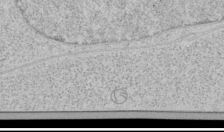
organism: Human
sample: Mitochondria in HCT116 cells